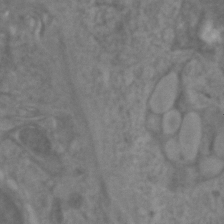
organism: Zebrafish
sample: Zebrafish embryo